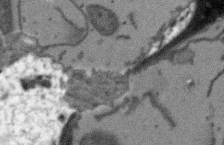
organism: Arabidopsis thaliana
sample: Root tip